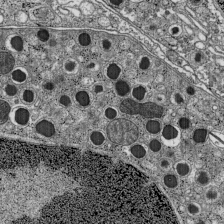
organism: C57BL Mouse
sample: Pancreatic islet